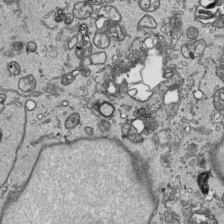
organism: Human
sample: Mitochondria in HCT116 cells